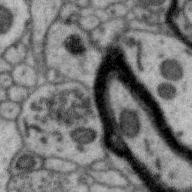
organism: Zebra finch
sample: Brain